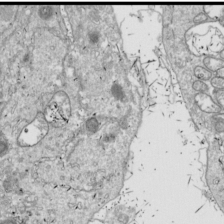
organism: Drosophila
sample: Cell division; meiosis; drosophila spermatocytes